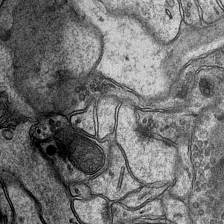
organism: Mouse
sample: CA1 Hippocampus